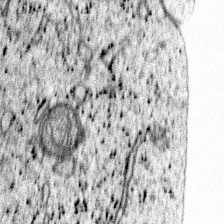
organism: Human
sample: HeLa cells